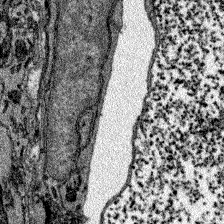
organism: Zebrafish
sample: Larval olfactory bulb